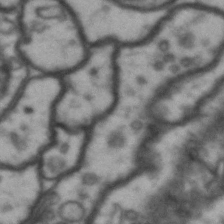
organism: Drosophila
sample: Brain